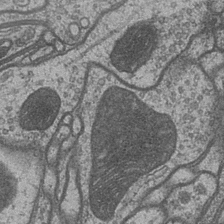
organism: Drosophila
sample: Optic medulla